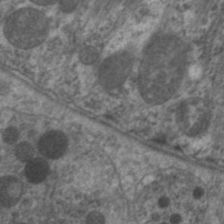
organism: C. elegans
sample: Pharynx